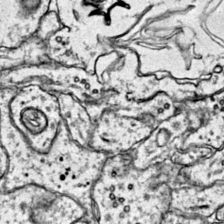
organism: Mouse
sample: Primary visual cortex